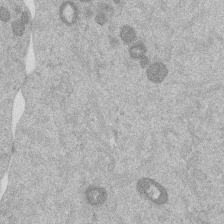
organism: Mouse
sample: Dividing mouse embryo 1 cell stage